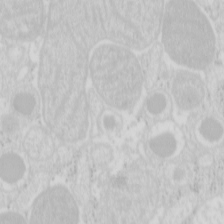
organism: Mouse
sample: Pancreas